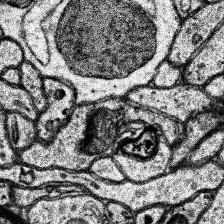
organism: Human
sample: Temporal Lobe